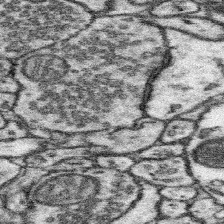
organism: Mouse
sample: Somatosensory cortex neuropil